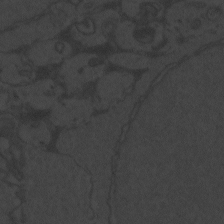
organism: Zebrafish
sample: Macrophage infected with Toxoplasma gondii